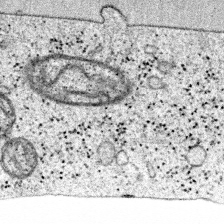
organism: Human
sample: HeLa cells